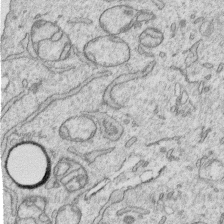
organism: Human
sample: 1205lu cells